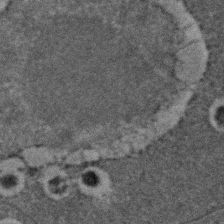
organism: C. elegans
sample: C. elegans embryo